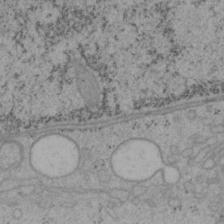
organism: Human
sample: HeLa cells